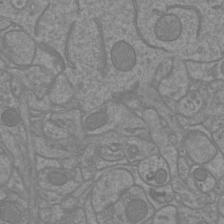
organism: Mouse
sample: Cortical neurons